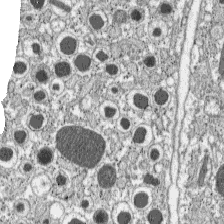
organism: C57BL Mouse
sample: Pancreatic islet